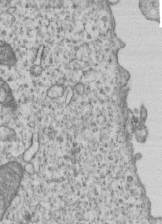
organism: Human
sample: MDA-MB-231 cells